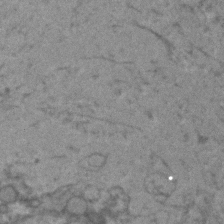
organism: Human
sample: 1205lu cells